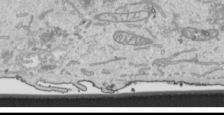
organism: Human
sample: Mitochondria in HCT116 cells